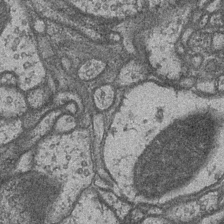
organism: Drosophila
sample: Optic medulla